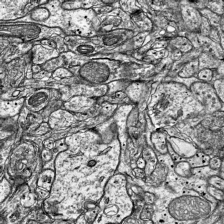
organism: Mouse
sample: Visual Cortex